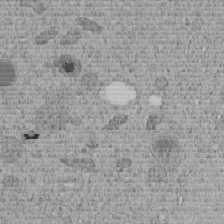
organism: C. elegans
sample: C. elegans embryo early stage